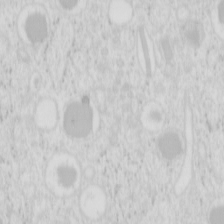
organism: Mouse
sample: Pancreas